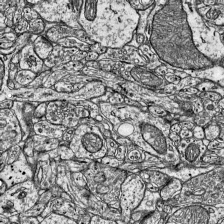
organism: Mouse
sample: Visual Cortex